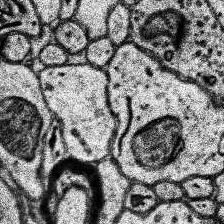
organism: Human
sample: Temporal Lobe